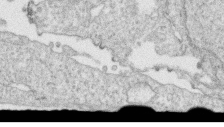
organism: Human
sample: HeLa cell HIV synapse